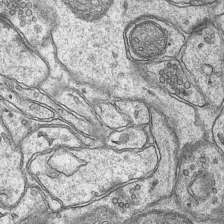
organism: Mouse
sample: CA1 Hippocampus